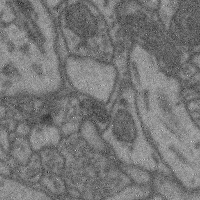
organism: Mouse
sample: Cerebral cortex